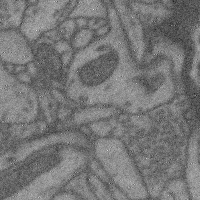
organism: Mouse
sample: Cerebral cortex